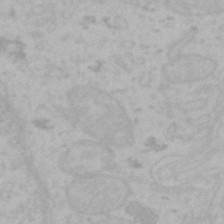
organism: Mouse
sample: Choroid plexus